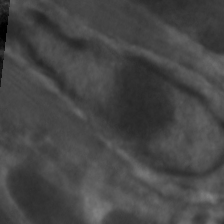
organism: C. elegans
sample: Pharynx